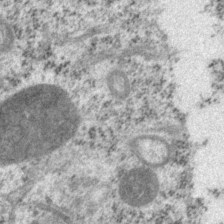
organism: P. pacificus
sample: Pharynx